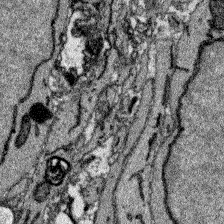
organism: Zebrafish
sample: Larval olfactory bulb